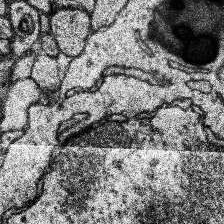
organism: Human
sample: Temporal Lobe